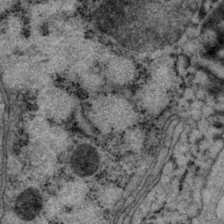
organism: P. pacificus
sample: Pharynx